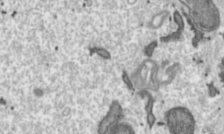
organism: Toxoplasma gondii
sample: Parasites in a vacuole inside a host cell